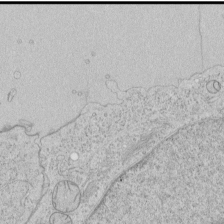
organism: Human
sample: Mitochondria in HCT116 cells